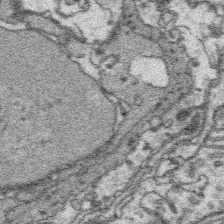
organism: Platynereis dumerilii